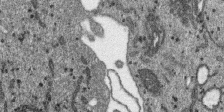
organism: Human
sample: Lung epithelial cells infected with SARS-CoV-2